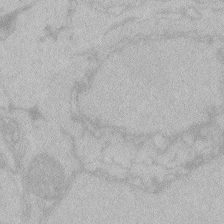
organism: Zebrafish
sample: Macrophage infected with Toxoplasma gondii